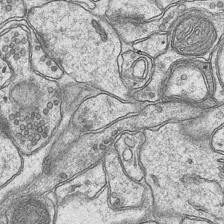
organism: Mouse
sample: CA1 Hippocampus